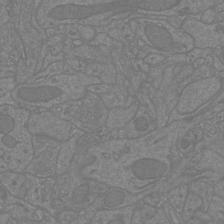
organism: Mouse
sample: Cortical neurons